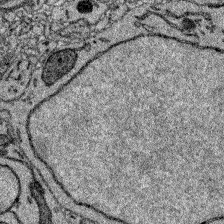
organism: Zebrafish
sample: Larval olfactory bulb